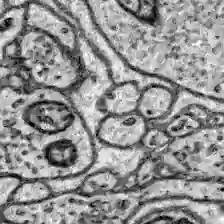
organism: Zebrafish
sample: Brain